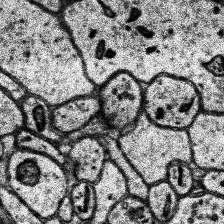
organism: Human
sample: Temporal Lobe